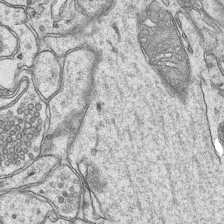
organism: Mouse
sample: CA1 Hippocampus